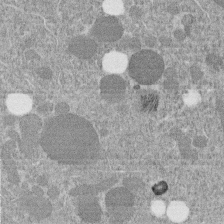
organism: C. elegans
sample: C. elegans embryo early stage